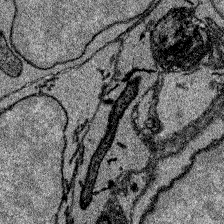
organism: Zebrafish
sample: Larval olfactory bulb